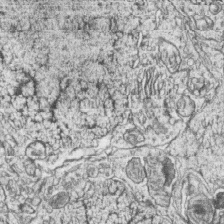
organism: Zebrafish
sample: synaptic ribbons in rod cells and cone cells